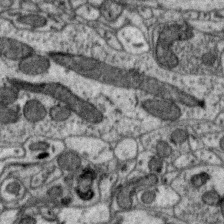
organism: Zebra finch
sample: Brain